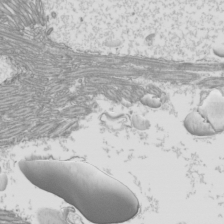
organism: Mouse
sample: Cilia; mouse epididymis